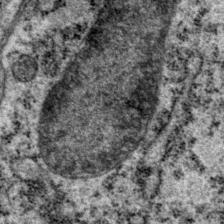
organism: P. pacificus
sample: Pharynx